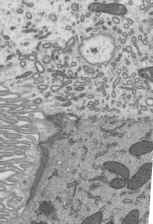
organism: Mouse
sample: Mouse epididymis efferent ductule cilia